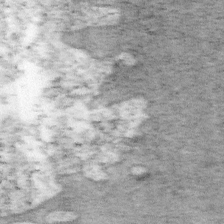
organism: Mouse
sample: OT-I killer T cells with ID8 ovarian cancer cells